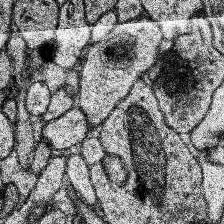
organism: Human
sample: Temporal Lobe